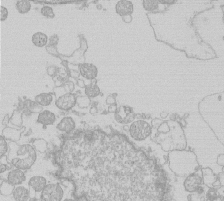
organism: Human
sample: Macrophage cells